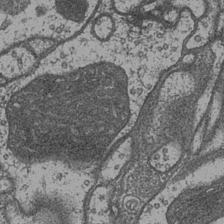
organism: Drosophila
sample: Optic medulla